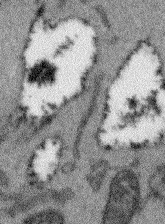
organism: Arabidopsis thaliana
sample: Root tip